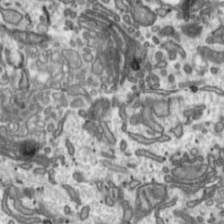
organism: Toxoplasma gondii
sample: Parasites in a vacuole inside a host cell